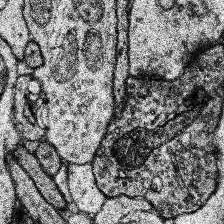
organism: Human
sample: Temporal Lobe